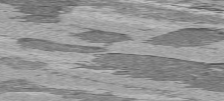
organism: C57BL Mouse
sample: Heart